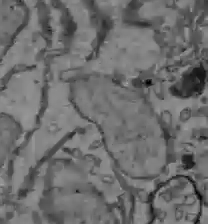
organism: C57BL Mouse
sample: Liver